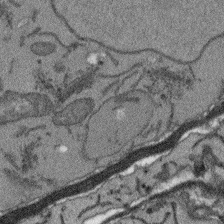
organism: Arabidopsis thaliana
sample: Root tip